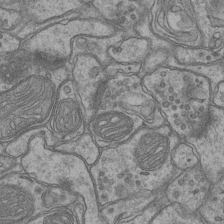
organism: Mouse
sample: CA1 Hippocampus